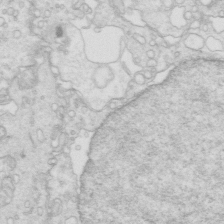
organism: Mouse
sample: Multiciliated cells